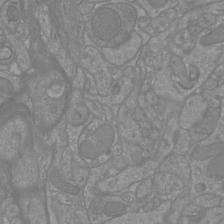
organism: Mouse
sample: Cortical neurons